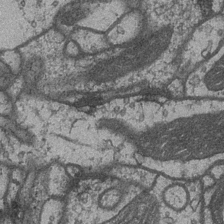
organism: Drosophila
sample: Optic medulla